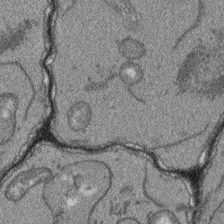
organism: Arabidopsis thaliana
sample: Root tip